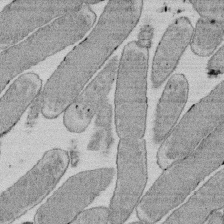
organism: E. coli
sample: Bacterial nucleoid